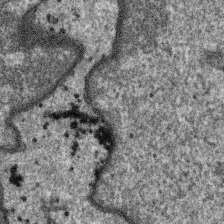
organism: Human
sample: Lung epithelial cells infected with SARS-CoV-2